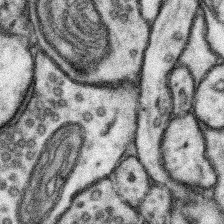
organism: Mouse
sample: Somatosensory cortex neuropil